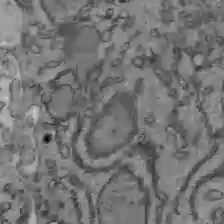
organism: C57BL Mouse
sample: Liver